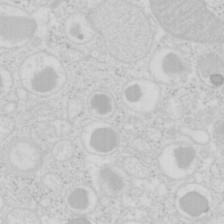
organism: Mouse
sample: Pancreas